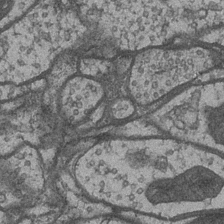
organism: Drosophila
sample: Optic medulla